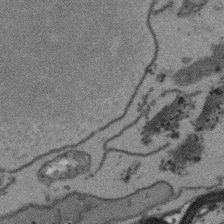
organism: Arabidopsis thaliana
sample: Root tip